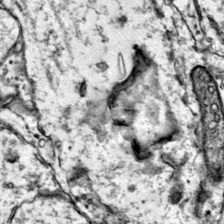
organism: Mouse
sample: Primary visual cortex